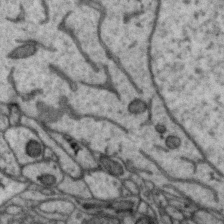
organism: Zebra finch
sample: Brain